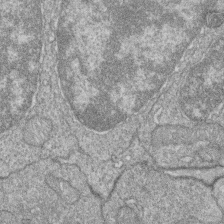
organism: Zebrafish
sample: Cilia; retinal pigment epithelium